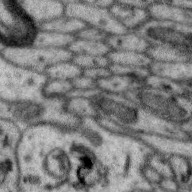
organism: Zebra finch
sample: Brain